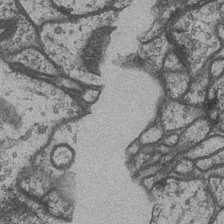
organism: Drosophila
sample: Optic medulla